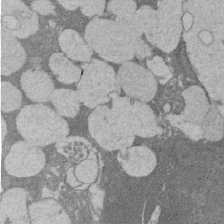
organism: Rat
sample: Salivary granule